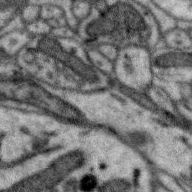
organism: Zebra finch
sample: Brain